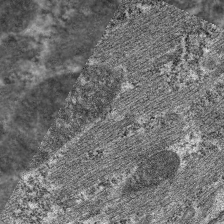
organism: C. elegans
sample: Pharynx